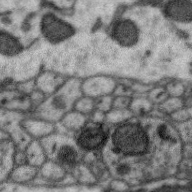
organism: Zebra finch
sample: Brain